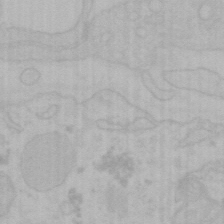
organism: Mouse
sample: Choroid plexus